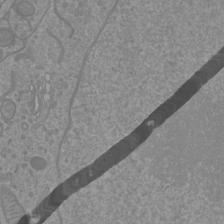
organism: Mouse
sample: Cortical neurons